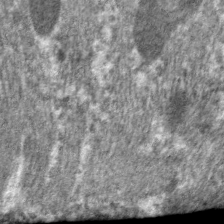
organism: C. elegans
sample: Pharynx